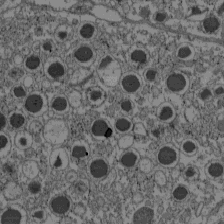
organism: C57BL Mouse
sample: Pancreatic islet